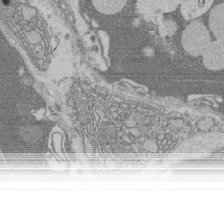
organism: Rat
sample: Salivary granule